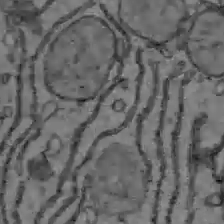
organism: C57BL Mouse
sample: Liver